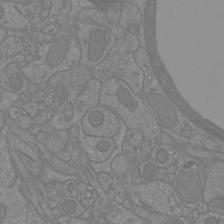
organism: Mouse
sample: Cortical neurons